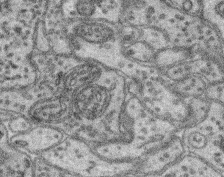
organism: Mouse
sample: Retina